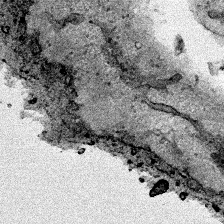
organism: Human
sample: Mitochondria in HCT116 cells